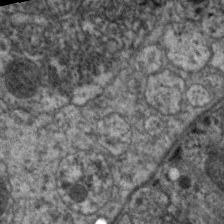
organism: C. elegans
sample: Pharynx